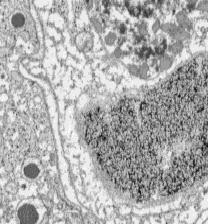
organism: C57BL Mouse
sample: Pancreatic islet